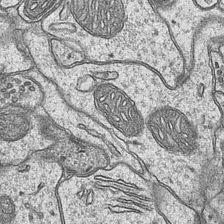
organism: Mouse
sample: CA1 Hippocampus